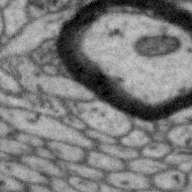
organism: Zebra finch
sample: Brain